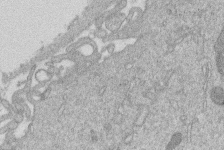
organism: Human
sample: Macrophage cells